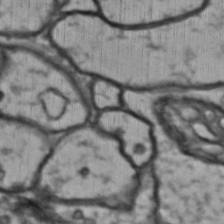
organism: Drosophila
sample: Brain